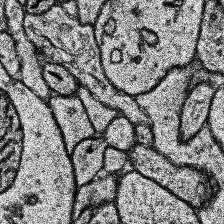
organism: Human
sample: Temporal Lobe